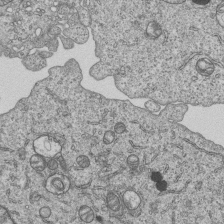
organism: Human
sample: MDA-MB-231 cells